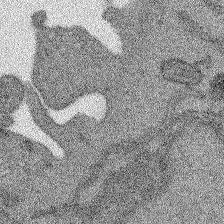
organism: Human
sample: HeLa cells